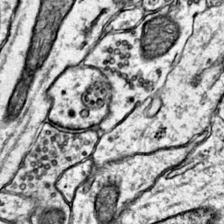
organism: Mouse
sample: Primary visual cortex